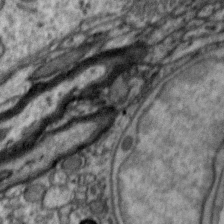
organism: Zebra finch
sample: Brain